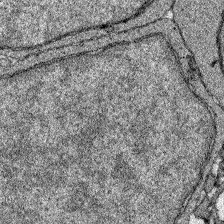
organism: Zebrafish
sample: Larval olfactory bulb